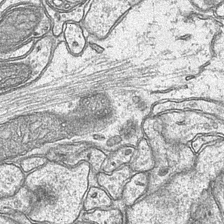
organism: Mouse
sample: CA1 Hippocampus